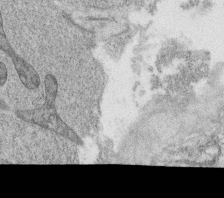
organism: C. elegans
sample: C. elegans oocyte; sperm cells